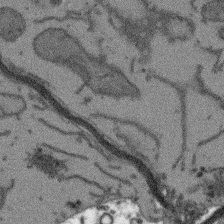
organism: Arabidopsis thaliana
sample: Root tip